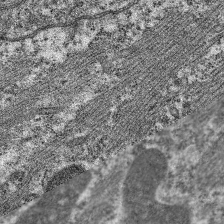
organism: C. elegans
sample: Pharynx